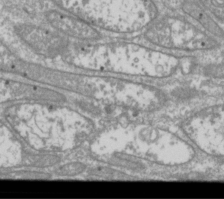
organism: Drosophila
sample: Cell division; meiosis; drosophila spermatocytes